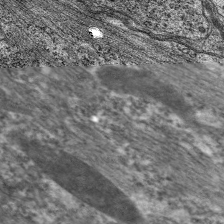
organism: C. elegans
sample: Pharynx